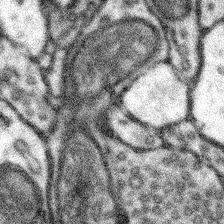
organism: Mouse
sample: Somatosensory cortex neuropil